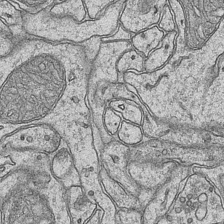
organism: Mouse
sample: CA1 Hippocampus